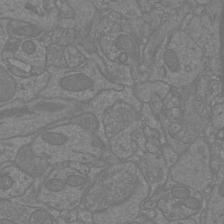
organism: Mouse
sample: Cortical neurons